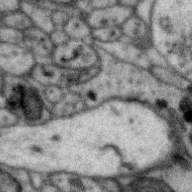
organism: Zebra finch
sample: Brain